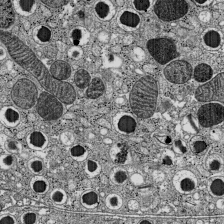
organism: C57BL Mouse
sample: Pancreatic islet